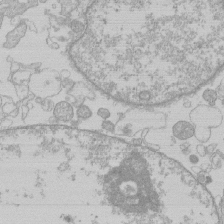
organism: Human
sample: Macrophage cells